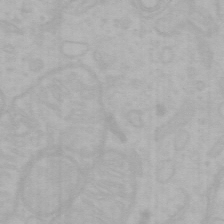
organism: Mouse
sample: Choroid plexus